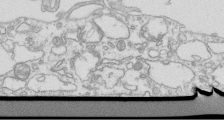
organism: Mouse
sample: Macrophages